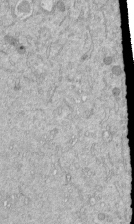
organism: Mouse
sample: ED-1 cell nuclei; centrioles